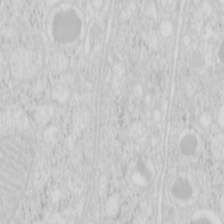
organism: Mouse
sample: Pancreas